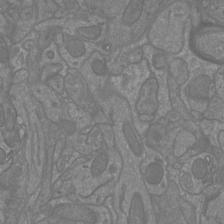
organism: Mouse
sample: Cortical neurons